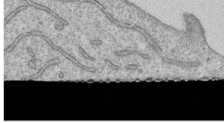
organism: Human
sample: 1205lu cells